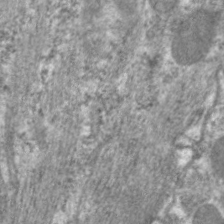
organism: C. elegans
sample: Pharynx